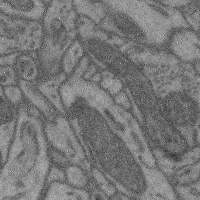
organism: Mouse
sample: Cerebral cortex